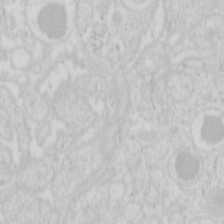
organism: Mouse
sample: Pancreas